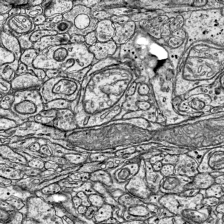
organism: Mouse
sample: Visual Cortex